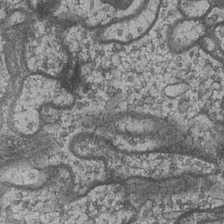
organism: Drosophila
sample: Optic medulla